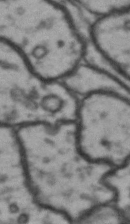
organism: Drosophila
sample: Brain